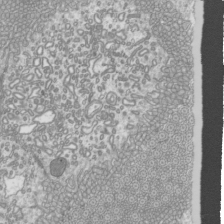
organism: Mouse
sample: Cilia; mouse epididymis